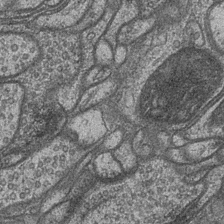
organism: Drosophila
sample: Optic medulla